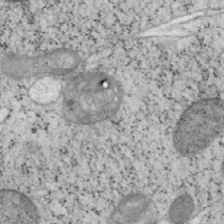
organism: Mouse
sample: OT-I killer T cells with ID8 ovarian cancer cells